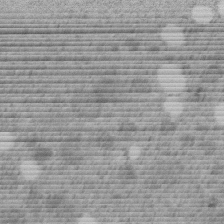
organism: C. elegans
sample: C. elegans embryo early stage